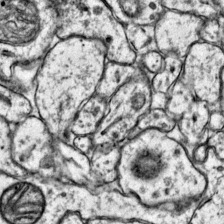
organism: Mouse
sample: Primary visual cortex